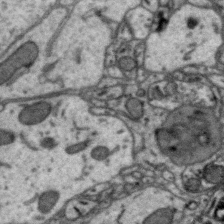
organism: Zebra finch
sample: Brain